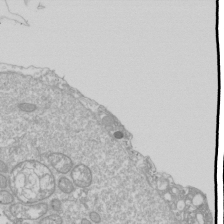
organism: Drosophila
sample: Cell division; meiosis; drosophila spermatocytes